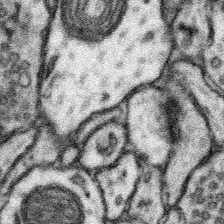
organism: Mouse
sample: Somatosensory cortex neuropil